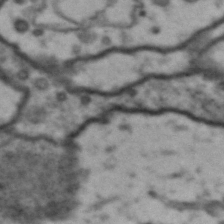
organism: Drosophila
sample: Brain